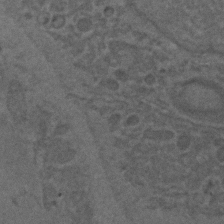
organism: C. elegans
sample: C. elegans embryo